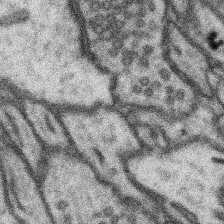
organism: Mouse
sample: Somatosensory cortex neuropil